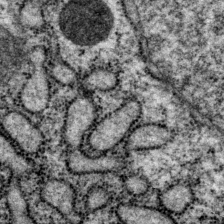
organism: P. pacificus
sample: Pharynx